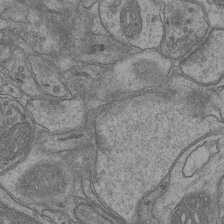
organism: Mouse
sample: CA1 Hippocampus